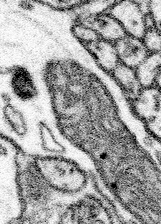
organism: Mouse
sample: Somatosensory cortex neuropil